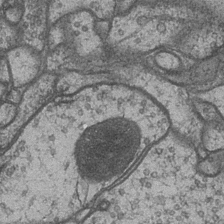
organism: Drosophila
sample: Optic medulla